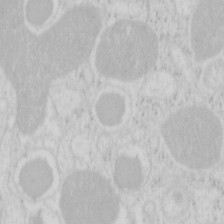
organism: Mouse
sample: Pancreas